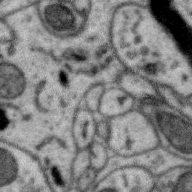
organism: Zebra finch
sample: Brain